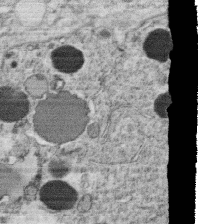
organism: C. elegans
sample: C. elegans oocyte; sperm cells